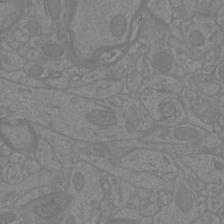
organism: Mouse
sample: Cortical neurons